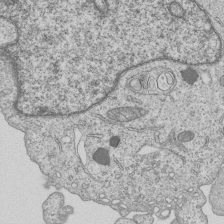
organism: Human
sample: MDA-MB-231 cells